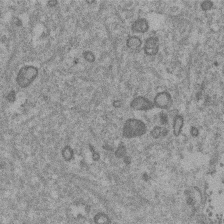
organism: Mouse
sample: Dividing mouse embryo 1 cell stage